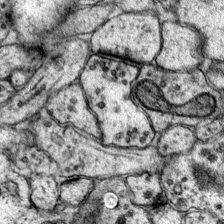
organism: Mouse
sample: Primary visual cortex